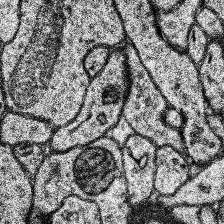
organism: Human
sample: Temporal Lobe